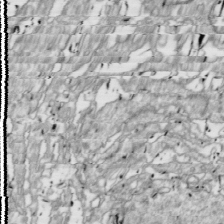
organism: Drosophila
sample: Cell division; meiosis; drosophila spermatocytes